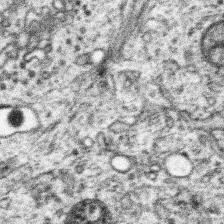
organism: Human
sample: HeLa cells